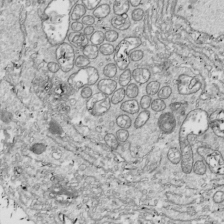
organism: Drosophila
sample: Cell division; meiosis; drosophila spermatocytes